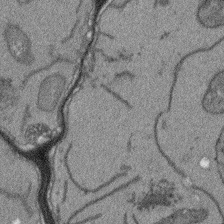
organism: Arabidopsis thaliana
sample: Root tip